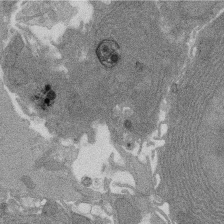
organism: Rat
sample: Salivary granule